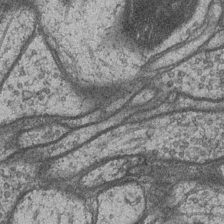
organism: Drosophila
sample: Optic medulla